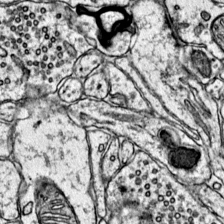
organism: Mouse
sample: Primary visual cortex